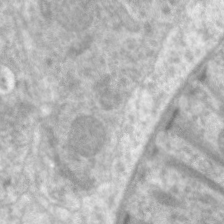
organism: C. elegans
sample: Pharynx